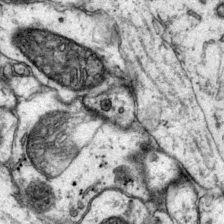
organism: Mouse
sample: Primary visual cortex